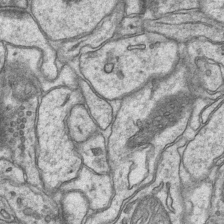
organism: Mouse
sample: CA1 Hippocampus